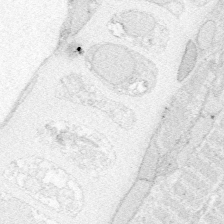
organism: Zebrafish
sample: Whole-Brain